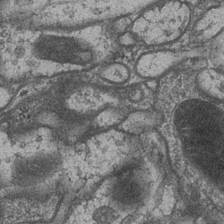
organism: Drosophila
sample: Optic medulla